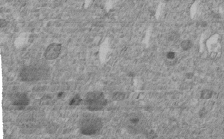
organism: C. elegans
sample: C. elegans embryo early stage